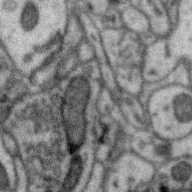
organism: Zebra finch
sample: Brain